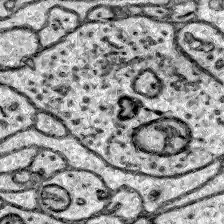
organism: Zebrafish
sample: Brain